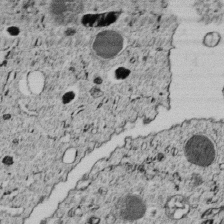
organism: C. elegans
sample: C. elegans embryo early stage